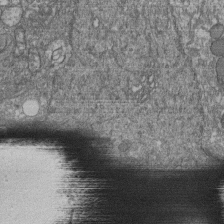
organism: Human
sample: Retinal organoid Rod and Cone cells